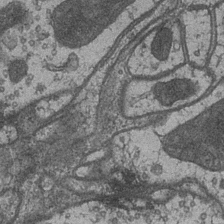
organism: Drosophila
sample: Optic medulla